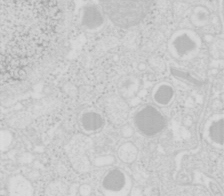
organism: Mouse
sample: Pancreas